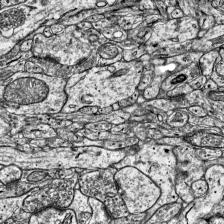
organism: Mouse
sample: Visual Cortex